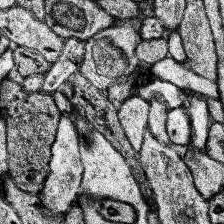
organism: Human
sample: Temporal Lobe